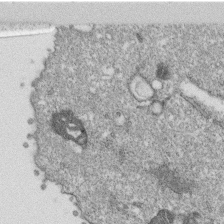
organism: African green monkey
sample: Vero E6 cells infected with SARS-CoV-2